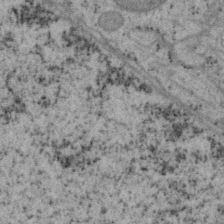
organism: Human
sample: HeLa cells